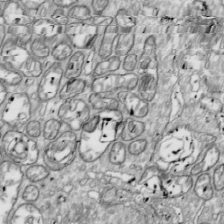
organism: Drosophila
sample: Cell division; meiosis; drosophila spermatocytes